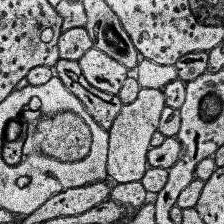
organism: Human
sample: Temporal Lobe